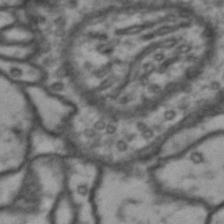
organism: Drosophila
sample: Brain